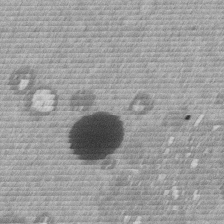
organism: Mouse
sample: Dividing mouse embryo 1 cell stage